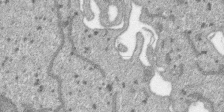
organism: Human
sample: Lung epithelial cells infected with SARS-CoV-2